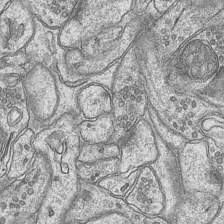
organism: Mouse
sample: CA1 Hippocampus